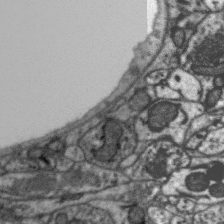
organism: Zebra finch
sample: Brain